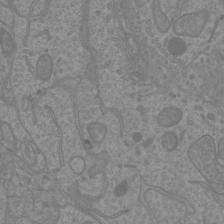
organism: Mouse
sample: Cortical neurons